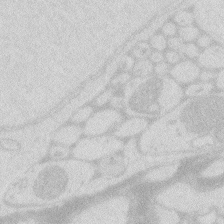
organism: Zebrafish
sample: Macrophage